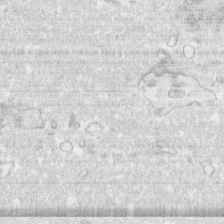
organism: Human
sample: CRL-1474